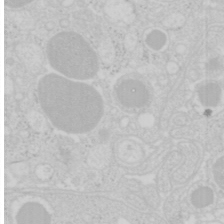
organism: Mouse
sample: Pancreas